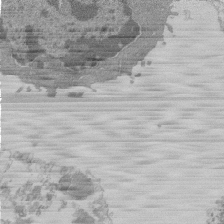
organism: Mouse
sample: Activated Pmel transgenic CD8+ T Cells